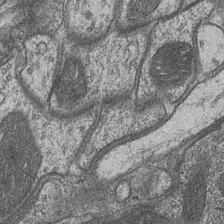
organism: Drosophila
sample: Optic medulla